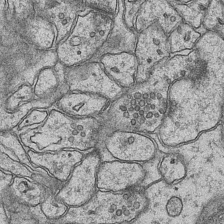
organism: Mouse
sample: CA1 Hippocampus